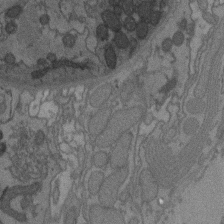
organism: C. elegans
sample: AFD neurons C. elegans